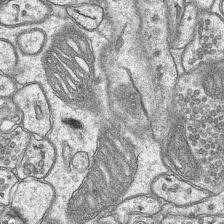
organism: Mouse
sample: CA1 Hippocampus